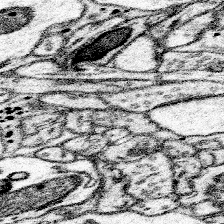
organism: Mouse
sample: Somatosensory cortex neuropil